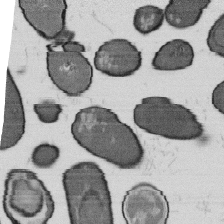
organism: B. subtilis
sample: Bacterial spore